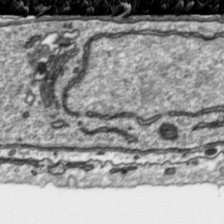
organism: Toxoplasma gondii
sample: Parasites in a vacuole inside a host cell